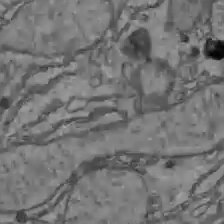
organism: C57BL Mouse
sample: Liver